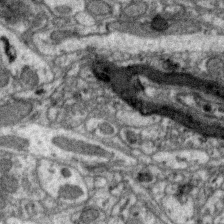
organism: Zebra finch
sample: Brain